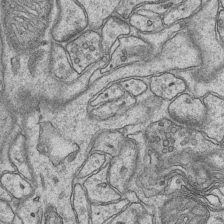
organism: Mouse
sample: CA1 Hippocampus